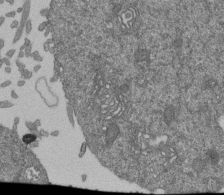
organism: Human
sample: Retinal organoid Rod and Cone cells